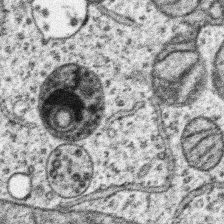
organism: Human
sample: HeLa cells